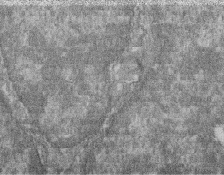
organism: Zebrafish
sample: Cilia; retinal pigment epithelium